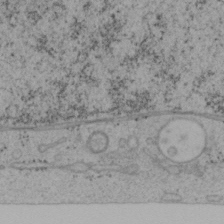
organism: Human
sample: HeLa cells